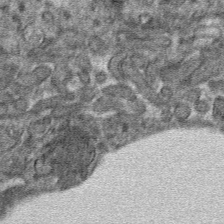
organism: Mouse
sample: Mouse hepatocytes